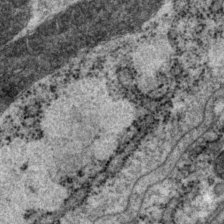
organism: P. pacificus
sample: Pharynx